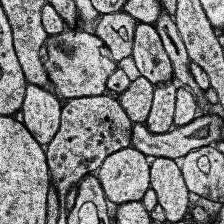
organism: Human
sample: Temporal Lobe